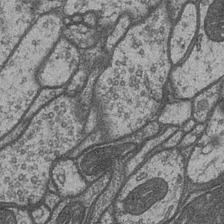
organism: Drosophila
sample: Optic medulla